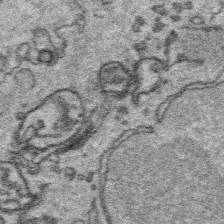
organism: Platynereis dumerilii